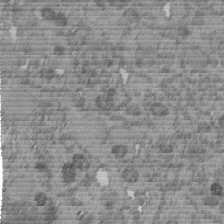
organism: C. elegans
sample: C. elegans embryo early stage